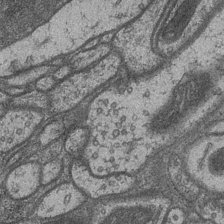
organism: Drosophila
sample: Optic medulla